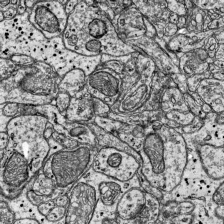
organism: Mouse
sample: Visual Cortex